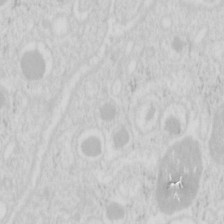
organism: Mouse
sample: Pancreas